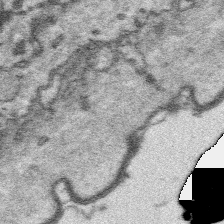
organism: Platynereis dumerilii